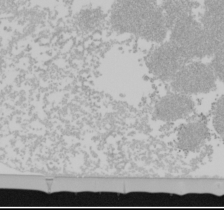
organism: Mouse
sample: Cancer cell death in ED-1 cells